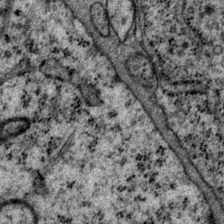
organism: P. pacificus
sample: Pharynx